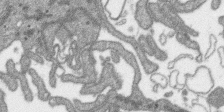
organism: Human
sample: Lung epithelial cells infected with SARS-CoV-2